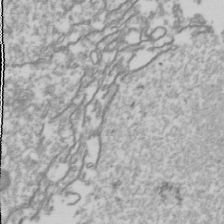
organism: Drosophila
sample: Cell division; meiosis; drosophila spermatocytes